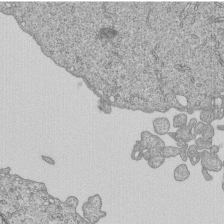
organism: Human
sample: MDA-MB-231 cells